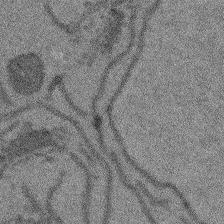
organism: Arabidopsis thaliana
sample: Root tip